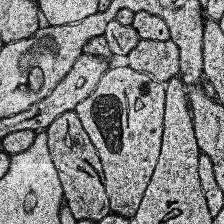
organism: Human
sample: Temporal Lobe